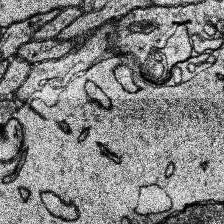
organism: Human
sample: Temporal Lobe